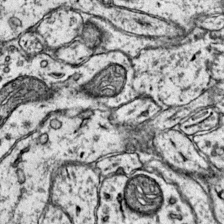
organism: Mouse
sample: Primary visual cortex